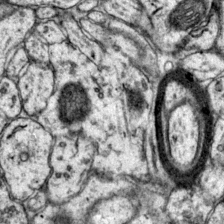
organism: Mouse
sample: Primary visual cortex